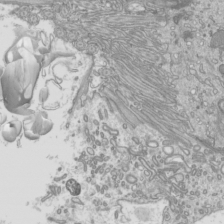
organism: Mouse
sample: Cilia; mouse epididymis